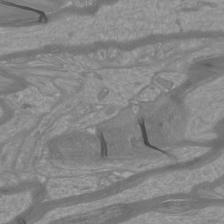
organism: Mouse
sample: Cortical neurons